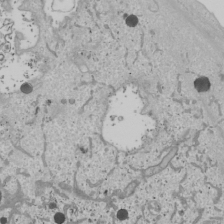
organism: Human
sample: Mitochondria in U2OS cells